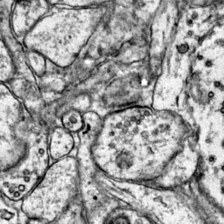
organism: Mouse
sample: Primary visual cortex